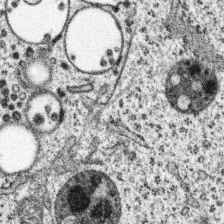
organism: Human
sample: HeLa cells